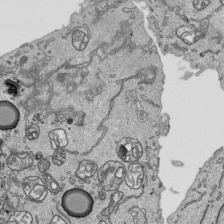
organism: Human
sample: Mitochondria in HCT116 cells